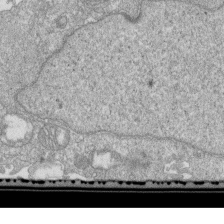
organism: Human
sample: HeLa cell HIV synapse